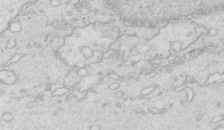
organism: Mouse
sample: Multiciliated cells